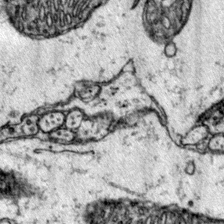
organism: Mouse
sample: Primary visual cortex